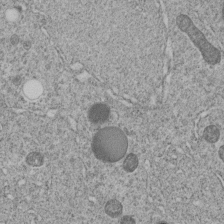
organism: C. elegans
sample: C. elegans embryo early stage